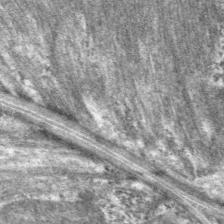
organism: C. elegans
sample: Pharynx